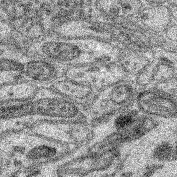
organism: Mouse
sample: Retina